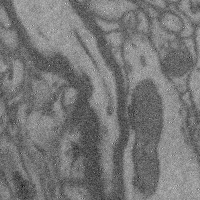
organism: Mouse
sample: Cerebral cortex